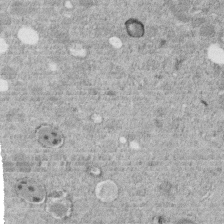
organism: C. elegans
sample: C. elegans embryo early stage